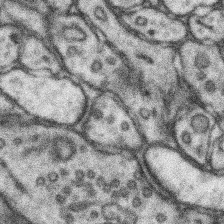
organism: Mouse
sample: Somatosensory cortex neuropil